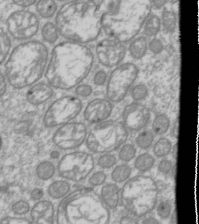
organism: Drosophila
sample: Cell division; meiosis; drosophila spermatocytes